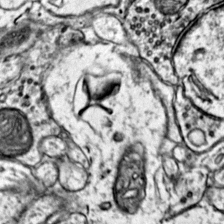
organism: Mouse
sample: Primary visual cortex